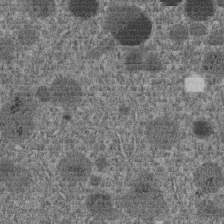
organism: C. elegans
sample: C. elegans embryo early stage